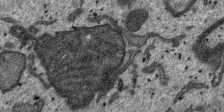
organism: Human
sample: Lung epithelial cells, uninfected (mock) control